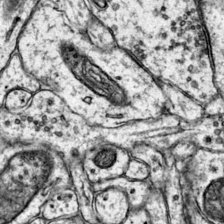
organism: Mouse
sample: Primary visual cortex